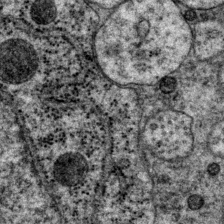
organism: P. pacificus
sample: Pharynx